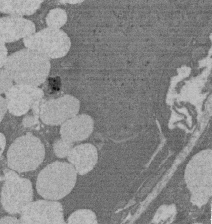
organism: Rat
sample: Salivary granule